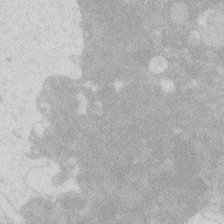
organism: Zebrafish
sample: Macrophage